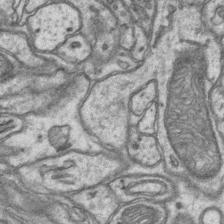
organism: Mouse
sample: CA1 Hippocampus